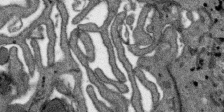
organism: Human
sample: Lung epithelial cells, uninfected (mock) control